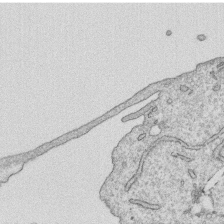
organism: Human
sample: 1205lu cells